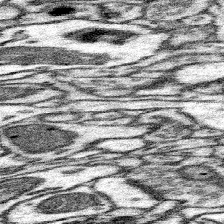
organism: Mouse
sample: Somatosensory cortex neuropil